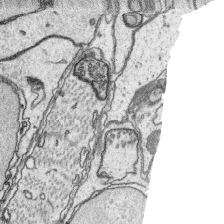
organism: Platynereis dumerilii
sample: Parapodia